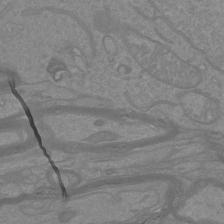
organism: Mouse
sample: Cortical neurons